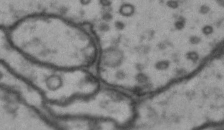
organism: Drosophila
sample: Brain